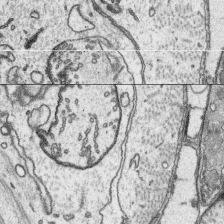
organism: Platynereis dumerilii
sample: Parapodia